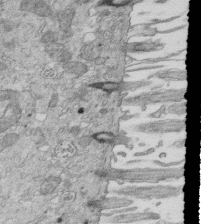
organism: Mouse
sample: Multiciliated cells